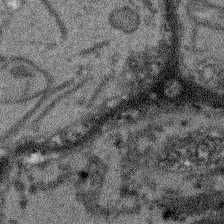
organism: Arabidopsis thaliana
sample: Root tip